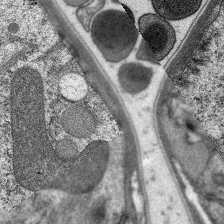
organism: C. elegans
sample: Pharynx